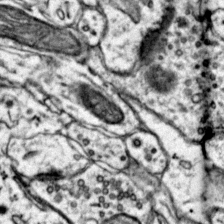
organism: Mouse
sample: Primary visual cortex